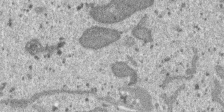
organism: Human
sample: Lung epithelial cells infected with SARS-CoV-2